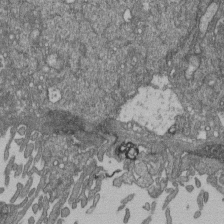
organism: Human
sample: Retinal organoid Rod and Cone cells